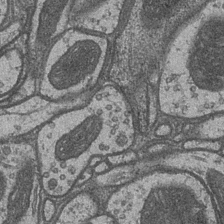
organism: Drosophila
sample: Optic medulla